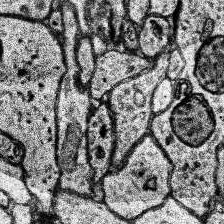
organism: Human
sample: Temporal Lobe